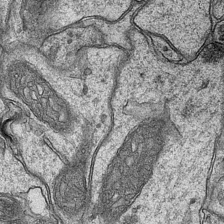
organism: Mouse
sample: CA1 Hippocampus